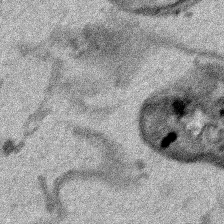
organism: Human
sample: Mitochondria in HCT116 cells